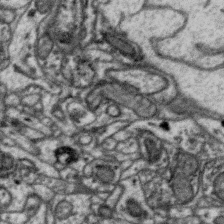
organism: Zebra finch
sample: Brain